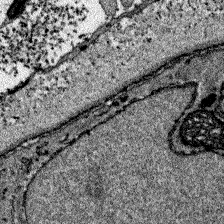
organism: Zebrafish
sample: Larval olfactory bulb